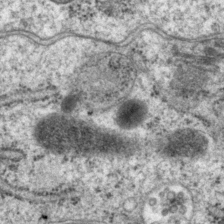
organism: P. pacificus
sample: Pharynx